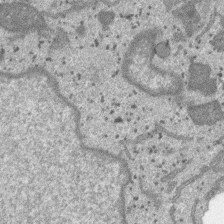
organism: Human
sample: Lung epithelial cells infected with SARS-CoV-2